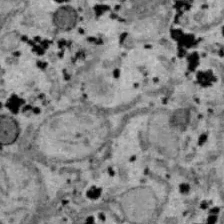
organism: Mouse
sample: Liver from an obese (ob/ob) mouse